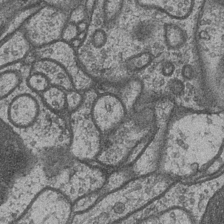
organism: Drosophila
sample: Optic medulla